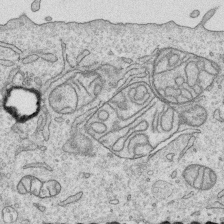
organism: Human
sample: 1205lu cells